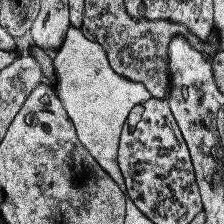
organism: Human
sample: Temporal Lobe